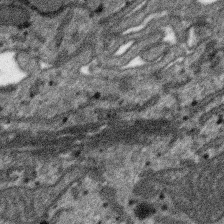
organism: Human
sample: Lung epithelial cells infected with SARS-CoV-2